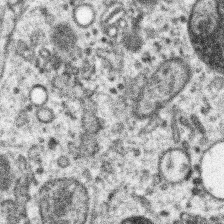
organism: Human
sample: HeLa cells